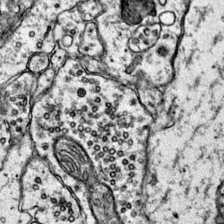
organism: Mouse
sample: Primary visual cortex